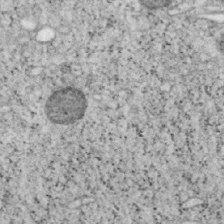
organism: Mouse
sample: OT-I killer T cells with ID8 ovarian cancer cells